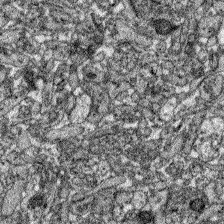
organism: Zebrafish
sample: Larval olfactory bulb